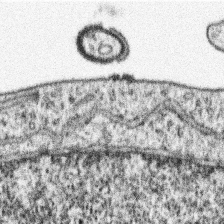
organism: Human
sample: HeLa cells